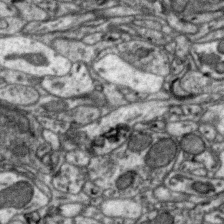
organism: Zebra finch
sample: Brain